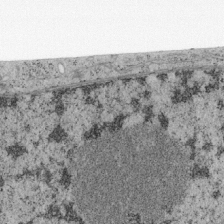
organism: Human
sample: HeLa cells